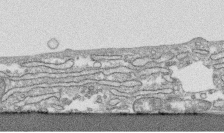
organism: Human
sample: CRL-1474